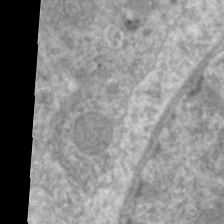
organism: C. elegans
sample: Pharynx